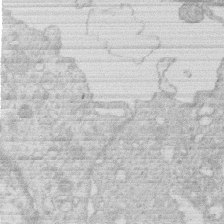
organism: Human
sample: Macrophage cells